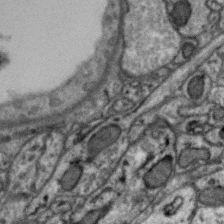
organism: Zebra finch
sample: Brain